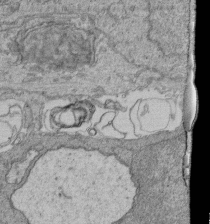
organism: Human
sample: Retinal organoid Rod and Cone cells